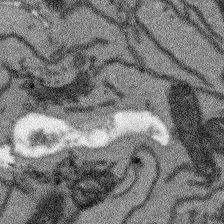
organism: Arabidopsis thaliana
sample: Root tip